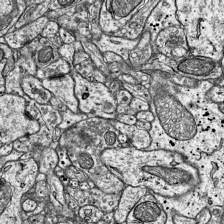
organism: Mouse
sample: Visual Cortex